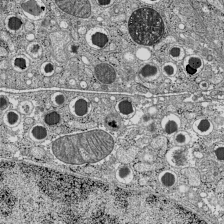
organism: C57BL Mouse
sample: Pancreatic islet